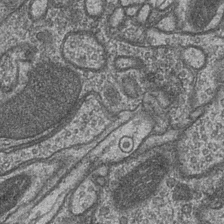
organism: Drosophila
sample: Optic medulla